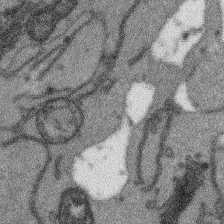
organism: Arabidopsis thaliana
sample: Root tip